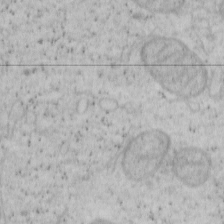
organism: Human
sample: HeLa cells